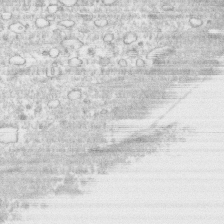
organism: Human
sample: CRL-1474